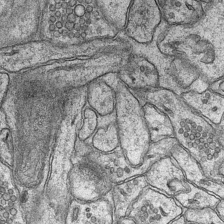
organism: Mouse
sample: CA1 Hippocampus